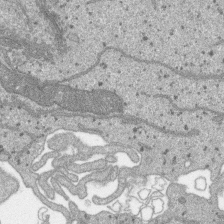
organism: Human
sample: Lung epithelial cells infected with SARS-CoV-2